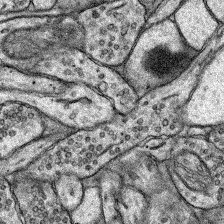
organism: Rat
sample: Hippocampus